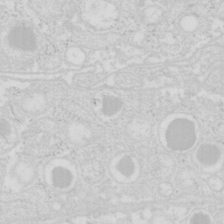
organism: Mouse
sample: Pancreas